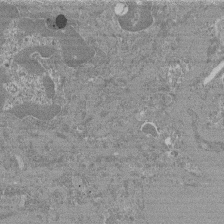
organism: Mouse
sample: Glomerulus